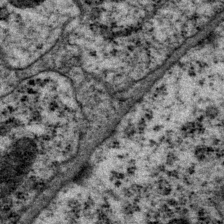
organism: P. pacificus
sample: Pharynx